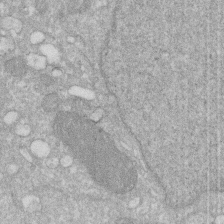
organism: Human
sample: HIV infected U937 cells